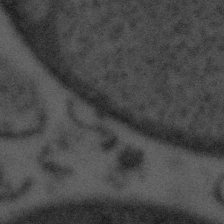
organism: Tuwongella immobilis